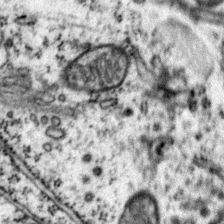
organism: Mouse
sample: Primary visual cortex